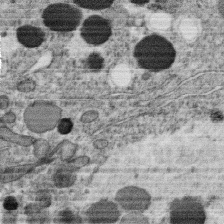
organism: C. elegans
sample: C. elegans oocyte; sperm cells